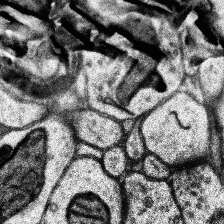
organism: Human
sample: Temporal Lobe